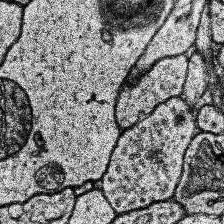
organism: Human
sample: Temporal Lobe